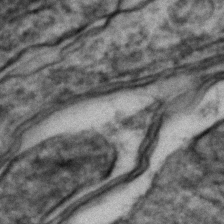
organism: Zebrafish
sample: Zebrafish embryo